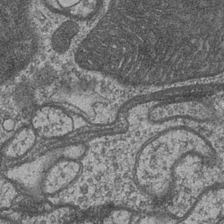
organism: Drosophila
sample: Optic medulla